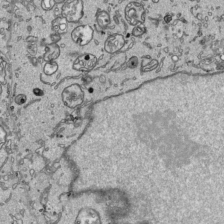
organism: Human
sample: Mitochondria in HCT116 cells